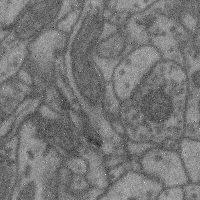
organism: Mouse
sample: Cerebral cortex